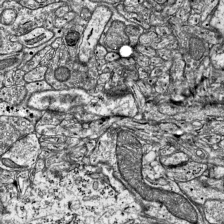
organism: Mouse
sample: Visual Cortex